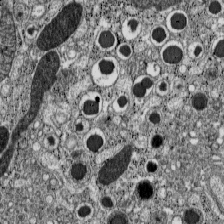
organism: C57BL Mouse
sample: Pancreatic islet